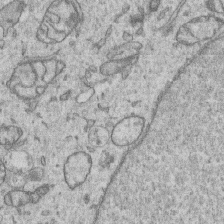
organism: Human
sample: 1205lu cells